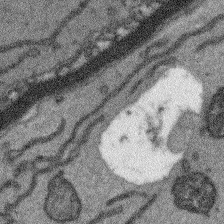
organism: Arabidopsis thaliana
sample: Root tip